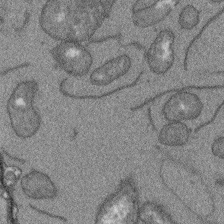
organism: Arabidopsis thaliana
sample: Root tip